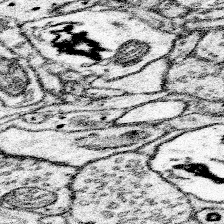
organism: Mouse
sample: Somatosensory cortex neuropil